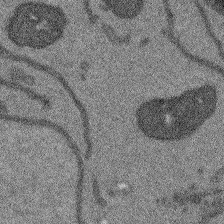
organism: Arabidopsis thaliana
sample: Root tip